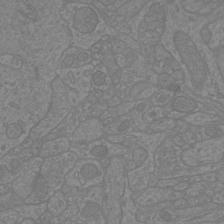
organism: Mouse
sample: Cortical neurons